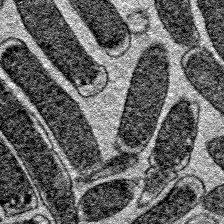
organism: E. coli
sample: E. Coli Bacteria